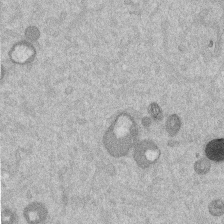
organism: Mouse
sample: Dividing mouse embryo 1 cell stage